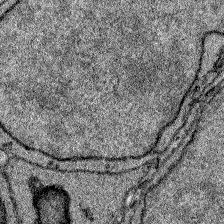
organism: Zebrafish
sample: Larval olfactory bulb